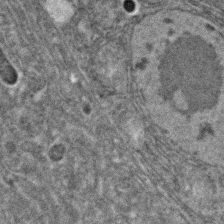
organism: C. elegans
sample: C. elegans embryo